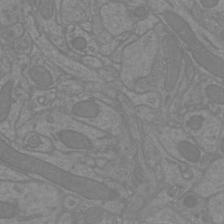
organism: Mouse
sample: Cortical neurons